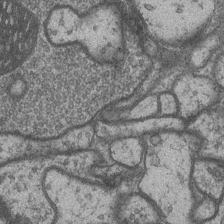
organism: Drosophila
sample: Optic medulla